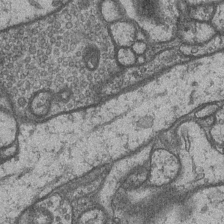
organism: Drosophila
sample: Optic medulla